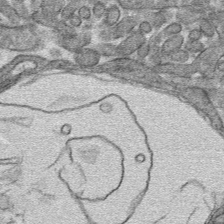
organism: Mouse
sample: Mouse hepatocytes